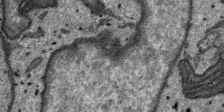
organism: Human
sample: Lung epithelial cells, uninfected (mock) control